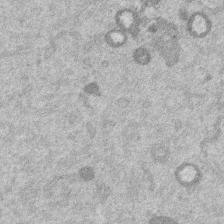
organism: Mouse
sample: Dividing mouse embryo 1 cell stage